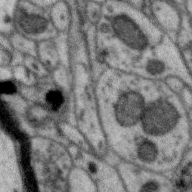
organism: Zebra finch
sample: Brain